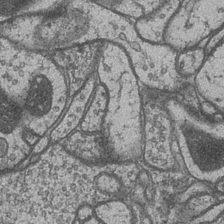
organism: Drosophila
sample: Optic medulla